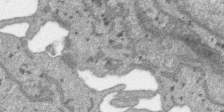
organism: Human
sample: Lung epithelial cells infected with SARS-CoV-2